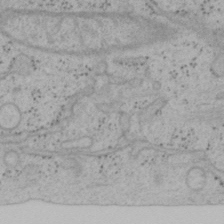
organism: Human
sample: HeLa cells